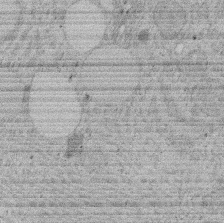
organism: Rat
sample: Salivary granule